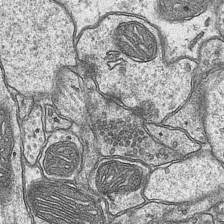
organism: Mouse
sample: CA1 Hippocampus